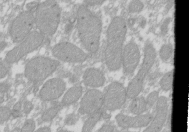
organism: Xenopus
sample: Cilia; centrioles in frog embryo cells